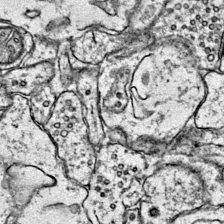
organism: Mouse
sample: Primary visual cortex